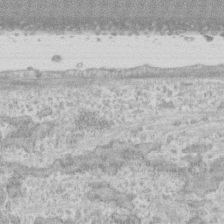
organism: Human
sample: CRL-1474